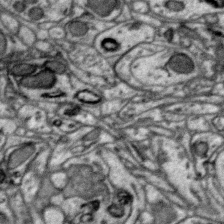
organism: Zebra finch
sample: Brain